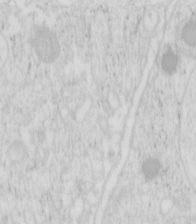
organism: Mouse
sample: Pancreas